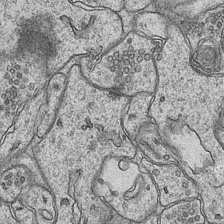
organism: Mouse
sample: CA1 Hippocampus